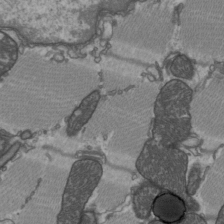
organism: C57BL Mouse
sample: Heart